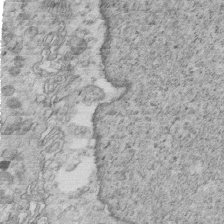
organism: Mouse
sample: Multiciliated cells